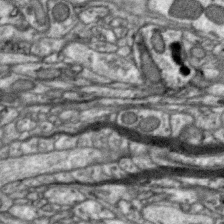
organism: Zebra finch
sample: Brain